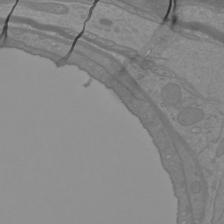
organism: Mouse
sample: Cortical neurons